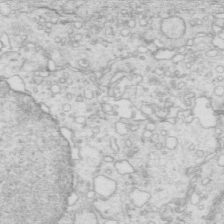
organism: Mouse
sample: Multiciliated cells